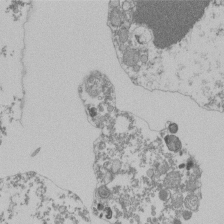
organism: Mouse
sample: Activated Pmel transgenic CD8+ T Cells